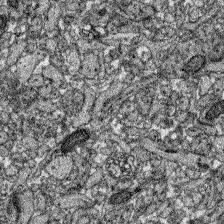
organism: Zebrafish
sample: Larval olfactory bulb